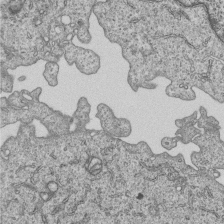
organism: Human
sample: MDA-MB-231 cells